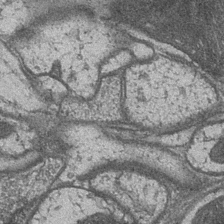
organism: Drosophila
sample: Optic medulla